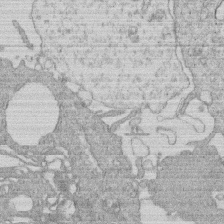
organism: Human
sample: Macrophage cells